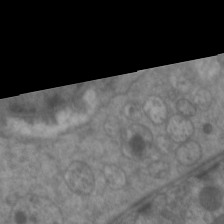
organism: C. elegans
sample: Pharynx